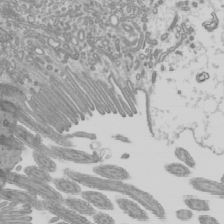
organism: Mouse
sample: Cilia; mouse epididymis